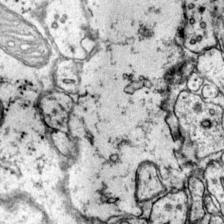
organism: Mouse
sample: Primary visual cortex